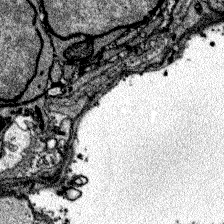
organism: Zebrafish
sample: Larval olfactory bulb